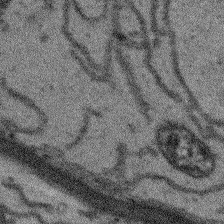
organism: Arabidopsis thaliana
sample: Root tip